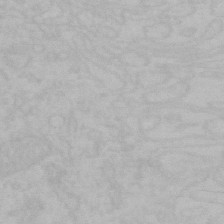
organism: Mouse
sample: Choroid plexus